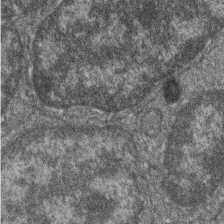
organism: Zebrafish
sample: Cilia; retinal pigment epithelium